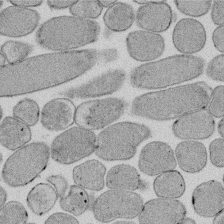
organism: E. coli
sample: Bacterial nucleoid